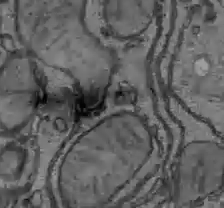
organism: C57BL Mouse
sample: Liver